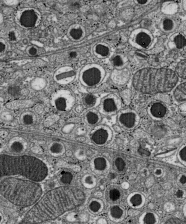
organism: C57BL Mouse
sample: Pancreatic islet